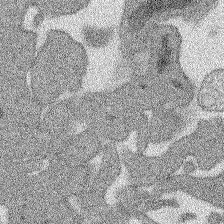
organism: Human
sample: HeLa cells